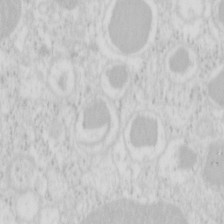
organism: Mouse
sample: Pancreas